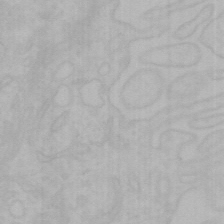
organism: Mouse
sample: Choroid plexus